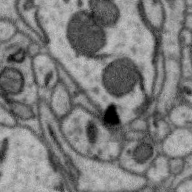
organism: Zebra finch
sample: Brain